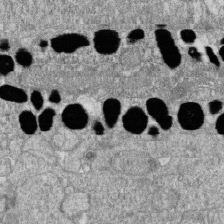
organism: Zebrafish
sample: Cilia; retinal pigment epithelium